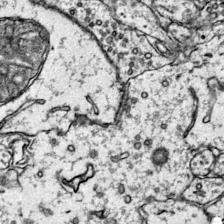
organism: Mouse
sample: Primary visual cortex